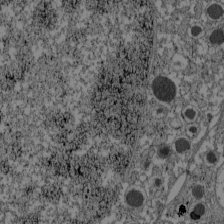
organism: C57BL Mouse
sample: Pancreatic islet